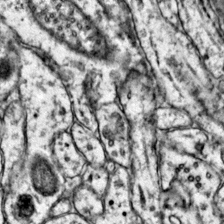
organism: Mouse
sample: Primary visual cortex